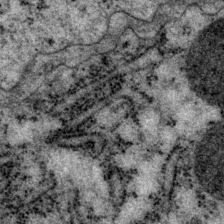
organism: P. pacificus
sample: Pharynx